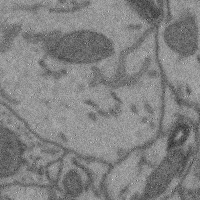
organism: Mouse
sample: Cerebral cortex